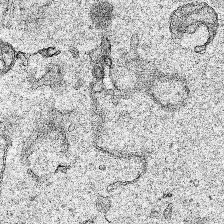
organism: Human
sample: Mitochondria in HCT116 cells